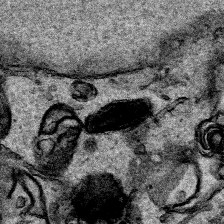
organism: Human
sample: Mitochondria in HCT116 cells